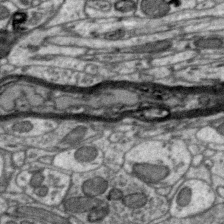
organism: Zebra finch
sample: Brain